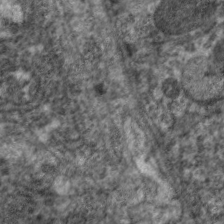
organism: C. elegans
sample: Pharynx